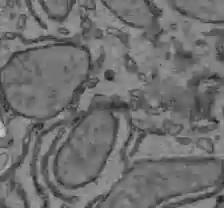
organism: C57BL Mouse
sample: Liver